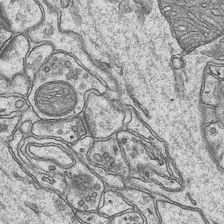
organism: Mouse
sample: CA1 Hippocampus